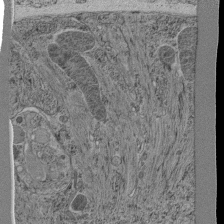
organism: C. elegans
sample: C. elegans pharynx